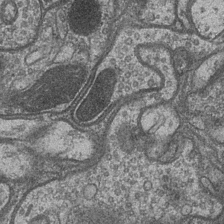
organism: Drosophila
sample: Optic medulla